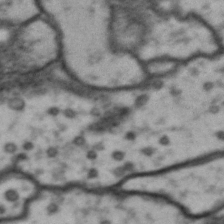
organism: Drosophila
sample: Brain